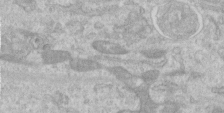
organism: Human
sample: Centriole in RPE cells